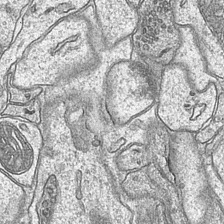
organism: Mouse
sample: CA1 Hippocampus